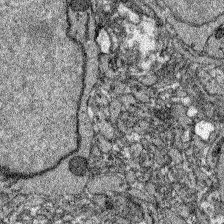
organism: Zebrafish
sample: Larval olfactory bulb